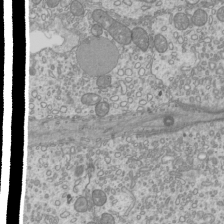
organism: Mouse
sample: Cilia; mouse epididymis